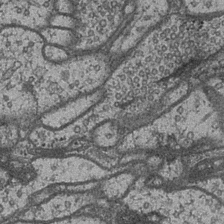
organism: Drosophila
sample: Optic medulla